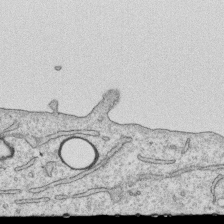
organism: Human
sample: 1205lu cells